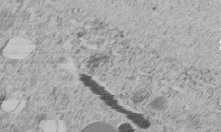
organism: C. elegans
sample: C. elegans embryo early stage